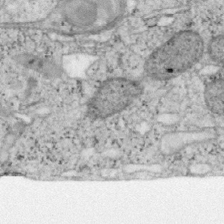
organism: Mouse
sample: OT-I killer T cells with ID8 ovarian cancer cells